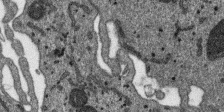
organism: Human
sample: Lung epithelial cells infected with SARS-CoV-2